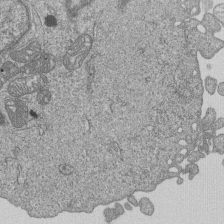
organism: Human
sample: MDA-MB-231 cells